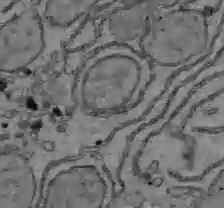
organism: C57BL Mouse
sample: Liver